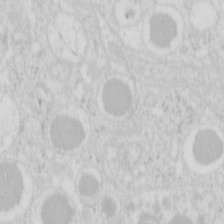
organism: Mouse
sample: Pancreas